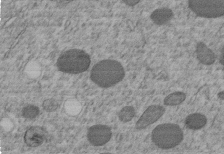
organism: C. elegans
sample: C. elegans embryo early stage